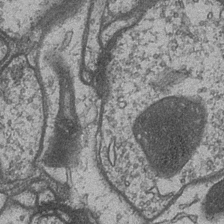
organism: Drosophila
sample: Optic medulla